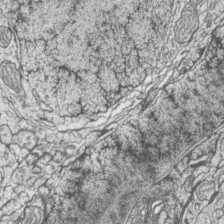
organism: Zebrafish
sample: synaptic ribbons in rod cells and cone cells